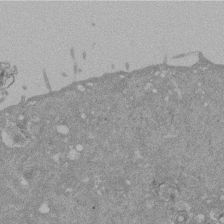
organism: Mouse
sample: ED-1 cell nuclei; centrioles